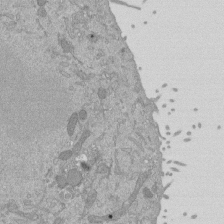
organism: Mouse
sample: ED-1 cell nuclei; centrioles